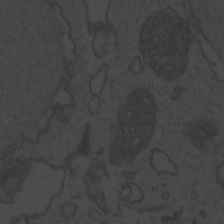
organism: Zebrafish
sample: Macrophage infected with Toxoplasma gondii